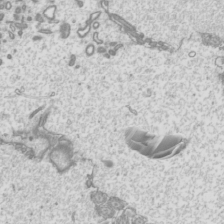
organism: Mouse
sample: Cilia; mouse epididymis